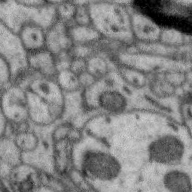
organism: Zebra finch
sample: Brain